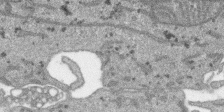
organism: Human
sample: Lung epithelial cells infected with SARS-CoV-2